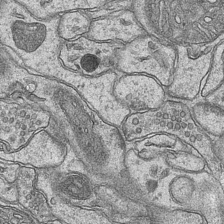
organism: Mouse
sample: CA1 Hippocampus